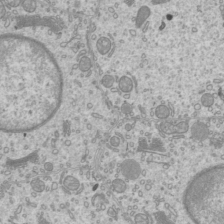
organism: Mouse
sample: Cilia; mouse epididymis